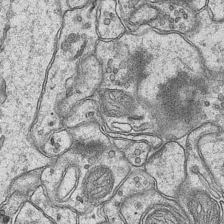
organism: Mouse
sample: CA1 Hippocampus